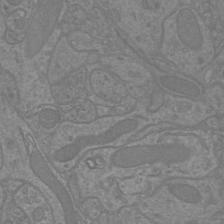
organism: Mouse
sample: Cortical neurons